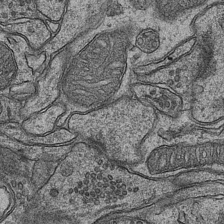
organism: Mouse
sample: CA1 Hippocampus